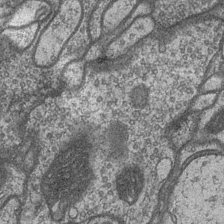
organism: Drosophila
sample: Optic medulla